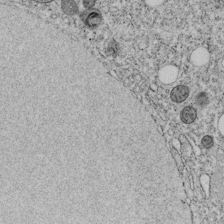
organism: C. elegans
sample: C. elegans embryo early stage